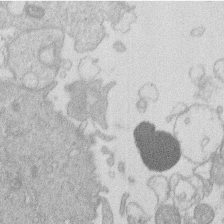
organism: Human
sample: Macrophage cells